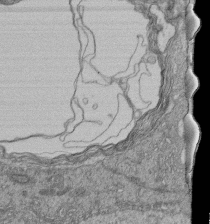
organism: Human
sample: Retinal organoid Rod and Cone cells